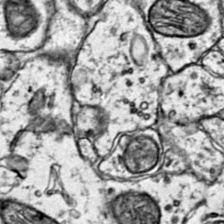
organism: Mouse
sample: Primary visual cortex